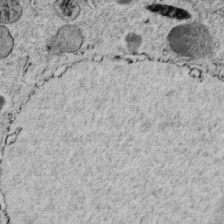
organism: C. elegans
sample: C. elegans embryo early stage